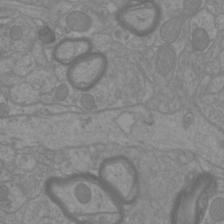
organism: Mouse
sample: Cortical neurons